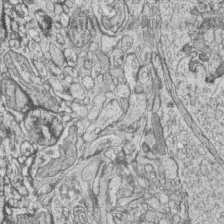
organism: Zebrafish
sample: synaptic ribbons in rod cells and cone cells